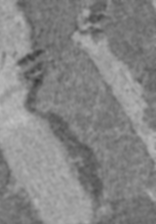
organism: C57BL Mouse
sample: Heart